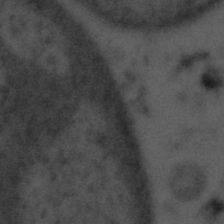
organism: Tuwongella immobilis